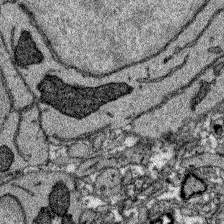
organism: Zebrafish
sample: Larval olfactory bulb